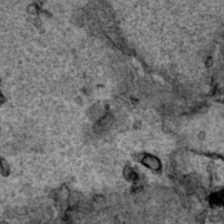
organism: Human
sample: Mitochondria in HCT116 cells